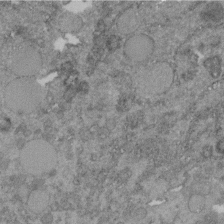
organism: C. elegans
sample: C. elegans embryo early stage